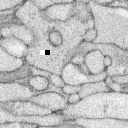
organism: Rabbit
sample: Retina